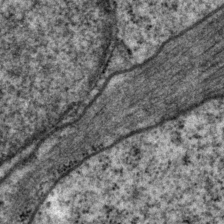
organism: P. pacificus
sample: Pharynx